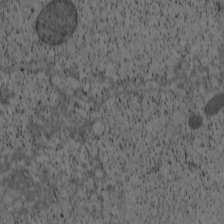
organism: African green monkey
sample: COS-7 cells